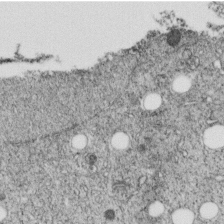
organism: C. elegans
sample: C. elegans embryo early stage